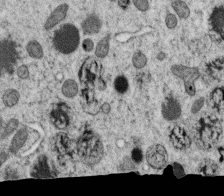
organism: C. elegans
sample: C. elegans oocyte; sperm cells